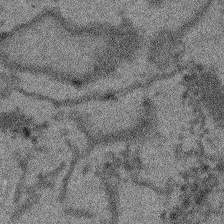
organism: Arabidopsis thaliana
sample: Root tip